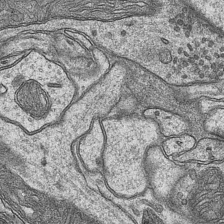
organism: Mouse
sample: CA1 Hippocampus